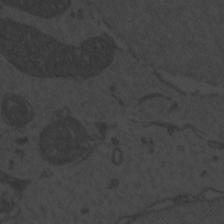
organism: Zebrafish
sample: Macrophage infected with Toxoplasma gondii